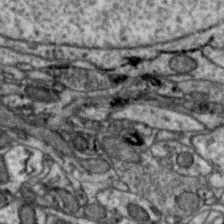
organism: Zebra finch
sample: Brain